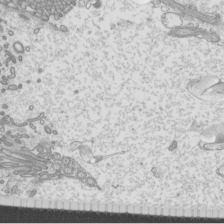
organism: Mouse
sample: Cilia; mouse epididymis